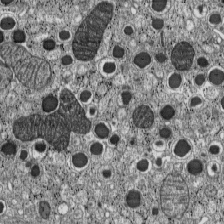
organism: C57BL Mouse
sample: Pancreatic islet